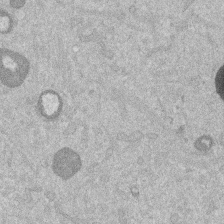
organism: Mouse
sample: Dividing mouse embryo 1 cell stage